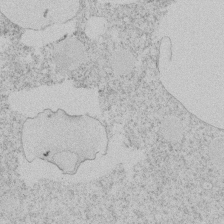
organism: Tetrahymena